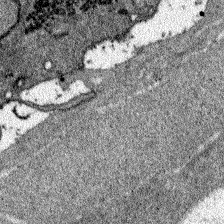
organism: Zebrafish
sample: Larval olfactory bulb